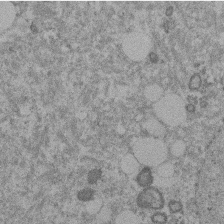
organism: Mouse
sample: Dividing mouse embryo 1 cell stage